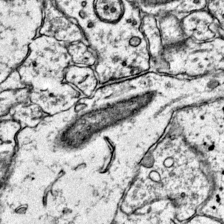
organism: Mouse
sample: Primary visual cortex